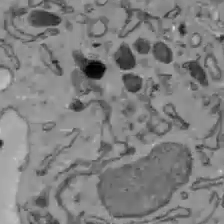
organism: C57BL Mouse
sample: Liver